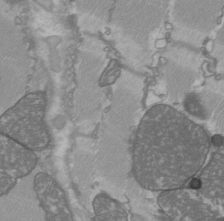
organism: C57BL Mouse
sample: Heart